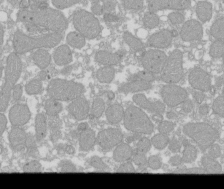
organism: Xenopus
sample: Cilia; centrioles in frog embryo cells